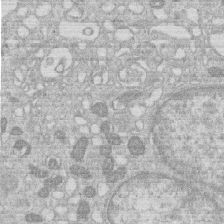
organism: Human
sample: Macrophage cells